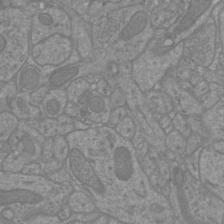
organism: Mouse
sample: Cortical neurons